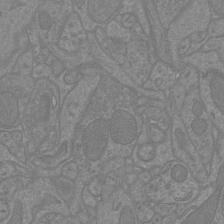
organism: Mouse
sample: Cortical neurons